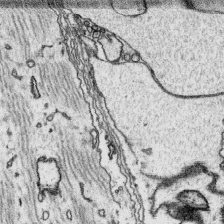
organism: Platynereis dumerilii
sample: Parapodia